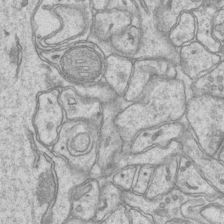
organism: Mouse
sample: CA1 Hippocampus